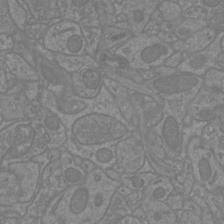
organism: Mouse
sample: Cortical neurons